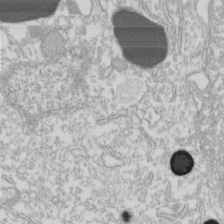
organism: Xenopus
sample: Cilia; centrioles in frog embryo cells